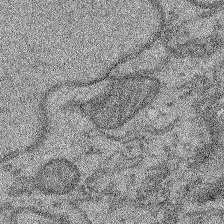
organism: Human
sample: HeLa cells